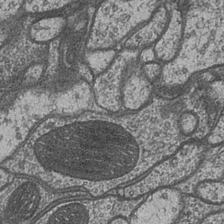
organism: Drosophila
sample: Optic medulla